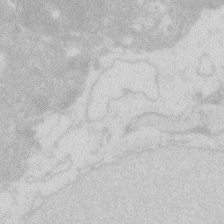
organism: Zebrafish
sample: Macrophage